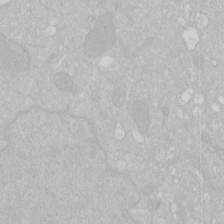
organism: Human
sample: HIV infected U937 cells